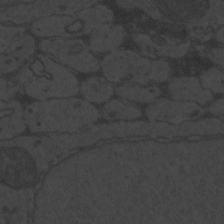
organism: Zebrafish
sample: Macrophage infected with Toxoplasma gondii